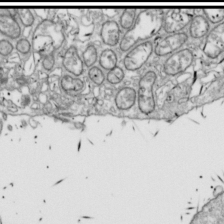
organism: Drosophila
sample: Cell division; meiosis; drosophila spermatocytes